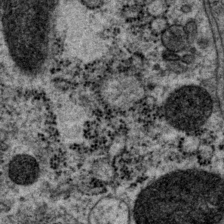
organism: P. pacificus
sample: Pharynx